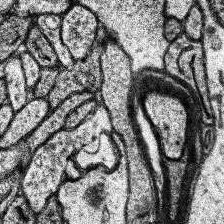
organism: Human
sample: Temporal Lobe